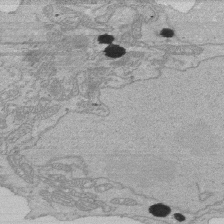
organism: Human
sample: Activated Jurkat CD4+ T cells